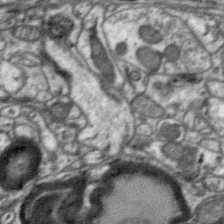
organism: Zebra finch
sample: Brain